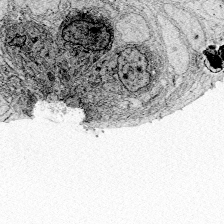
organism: Zebrafish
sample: Whole-Brain